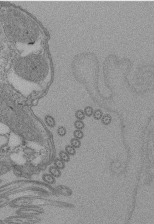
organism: Tetrahymena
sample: Cilia in tetrahymena